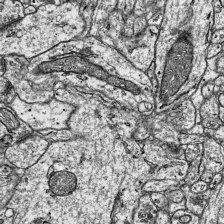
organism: Mouse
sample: Visual Cortex